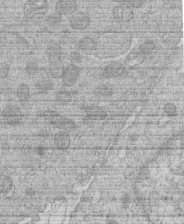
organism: Human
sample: Macrophage cells